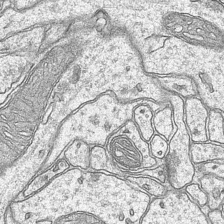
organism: Mouse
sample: CA1 Hippocampus